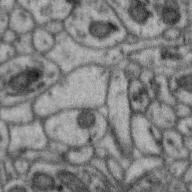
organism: Zebra finch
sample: Brain